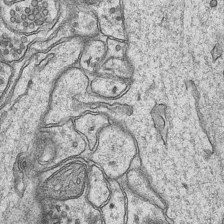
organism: Mouse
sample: CA1 Hippocampus